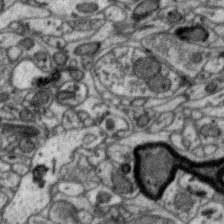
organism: Zebra finch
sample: Brain